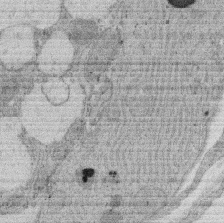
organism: Rat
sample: Salivary granule